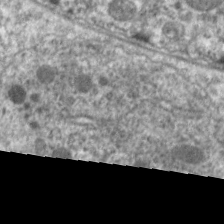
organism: C. elegans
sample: Pharynx